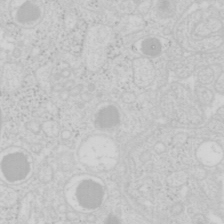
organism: Mouse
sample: Pancreas